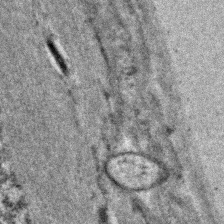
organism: C. elegans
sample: C. elegans embryo